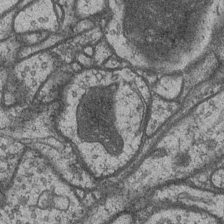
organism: Drosophila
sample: Optic medulla